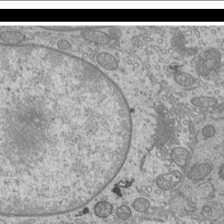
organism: Mouse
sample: Cilia; mouse epididymis